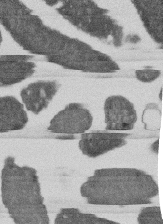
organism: E. coli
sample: Bacterial nucleoid